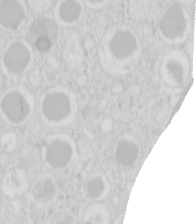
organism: Mouse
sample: Pancreas